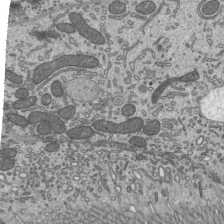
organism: Mouse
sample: Mouse epididymis efferent ductule cilia